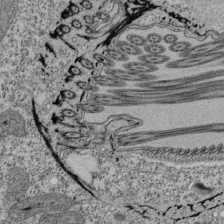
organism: Tetrahymena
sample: Cilia in tetrahymena